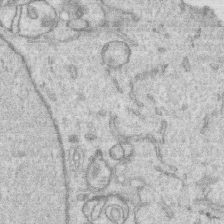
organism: Human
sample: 1205lu cells